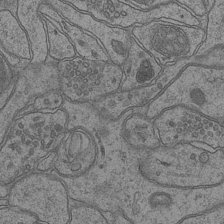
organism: Mouse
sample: CA1 Hippocampus